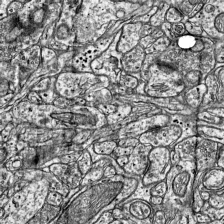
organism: Mouse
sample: Visual Cortex